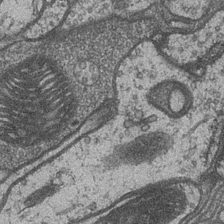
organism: Drosophila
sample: Optic medulla